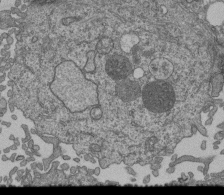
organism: Human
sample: Retinal organoid Rod and Cone cells